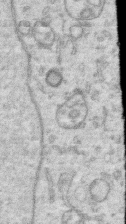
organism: Human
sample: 1205lu cells